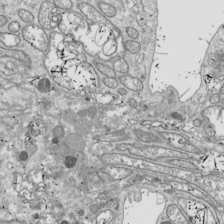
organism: Drosophila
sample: Cell division; meiosis; drosophila spermatocytes